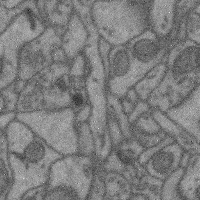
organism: Mouse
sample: Cerebral cortex